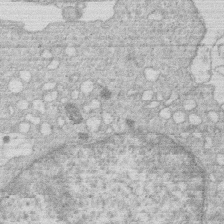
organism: Human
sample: Macrophage cells